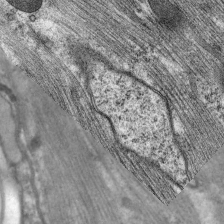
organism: C. elegans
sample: Pharynx